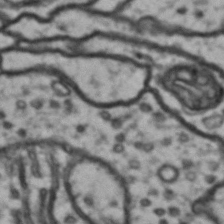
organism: Drosophila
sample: Brain